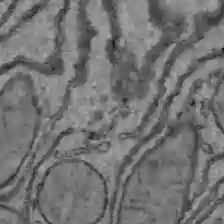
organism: C57BL Mouse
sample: Liver